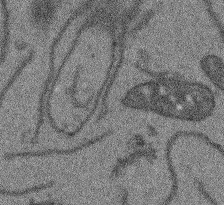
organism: Arabidopsis thaliana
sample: Root tip